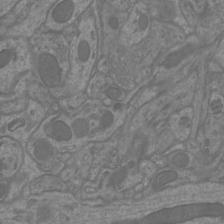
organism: Mouse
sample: Cortical neurons